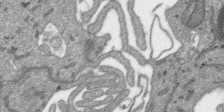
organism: Human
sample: Lung epithelial cells infected with SARS-CoV-2